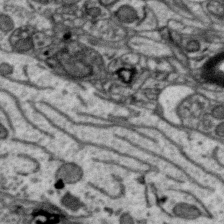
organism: Zebra finch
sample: Brain